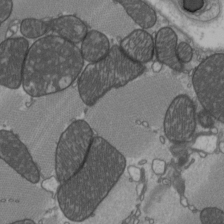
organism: C57BL Mouse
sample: Heart